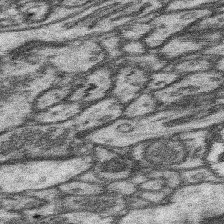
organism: Mouse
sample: Somatosensory cortex neuropil